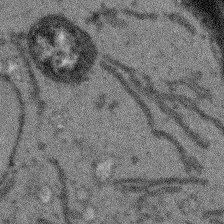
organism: Arabidopsis thaliana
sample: Root tip